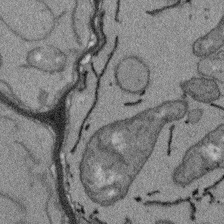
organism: Arabidopsis thaliana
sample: Root tip